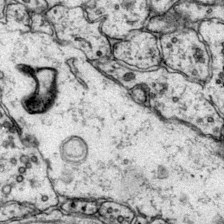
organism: Mouse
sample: Primary visual cortex